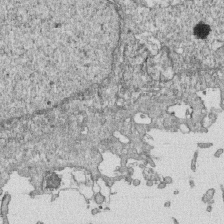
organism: Human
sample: HeLa cell HIV synapse